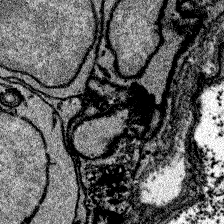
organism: Zebrafish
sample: Larval olfactory bulb